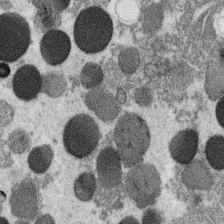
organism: C. elegans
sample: C. elegans oocyte; sperm cells